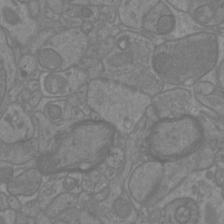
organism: Mouse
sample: Cortical neurons